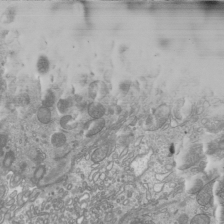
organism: Mouse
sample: Cilia; mouse epididymis